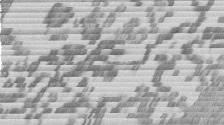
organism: Mouse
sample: Dividing mouse embryo 1 cell stage